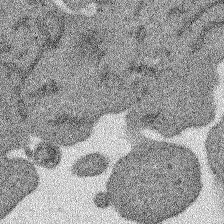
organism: Human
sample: HeLa cells